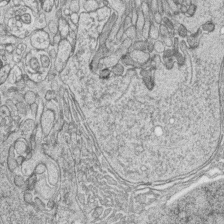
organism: Zebrafish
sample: synaptic ribbons in rod cells and cone cells